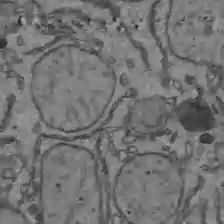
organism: C57BL Mouse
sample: Liver